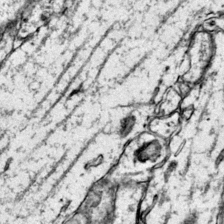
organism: Mouse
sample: Primary visual cortex